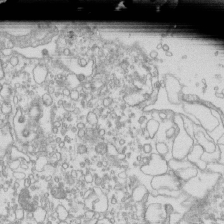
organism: Mouse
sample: Macrophages